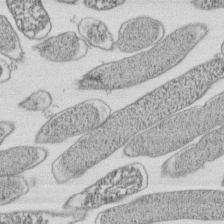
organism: E. coli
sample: Bacterial nucleoid